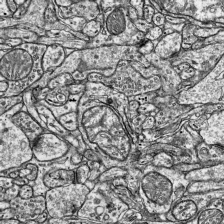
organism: Mouse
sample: Visual Cortex